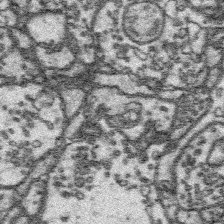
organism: Platynereis dumerilii